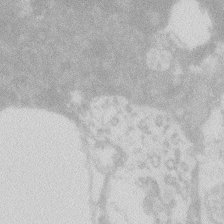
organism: Zebrafish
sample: Macrophage